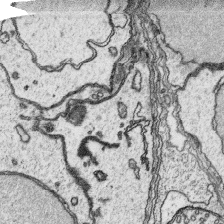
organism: Platynereis dumerilii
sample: Parapodia